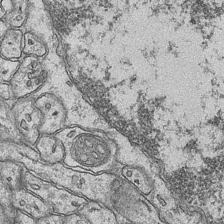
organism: Mouse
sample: CA1 Hippocampus